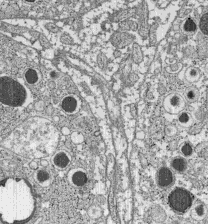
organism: C57BL Mouse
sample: Pancreatic islet